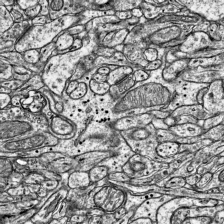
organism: Mouse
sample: Visual Cortex